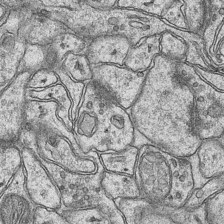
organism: Mouse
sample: CA1 Hippocampus